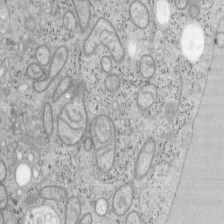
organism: Mouse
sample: OT-I killer T cells with ID8 ovarian cancer cells